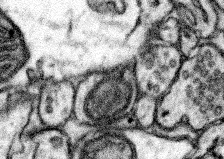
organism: Mouse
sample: Somatosensory cortex neuropil